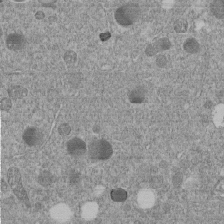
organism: C. elegans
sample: C. elegans embryo early stage